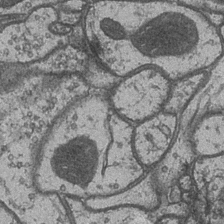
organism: Drosophila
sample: Optic medulla